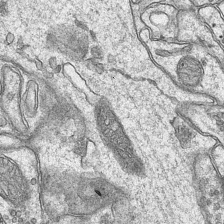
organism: Mouse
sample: CA1 Hippocampus